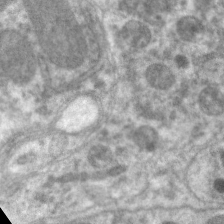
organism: C. elegans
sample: Pharynx